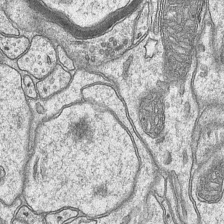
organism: Mouse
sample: CA1 Hippocampus